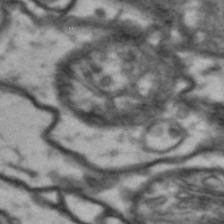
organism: Drosophila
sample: Brain